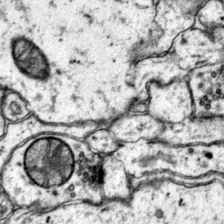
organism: Mouse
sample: Primary visual cortex